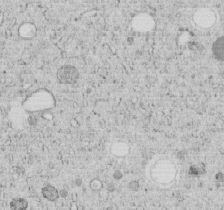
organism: C. elegans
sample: C. elegans embryo early stage